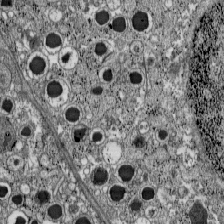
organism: C57BL Mouse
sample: Pancreatic islet